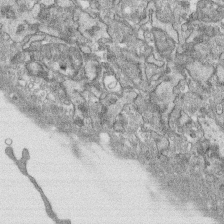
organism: Human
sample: CRL-1474